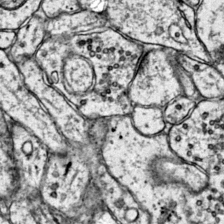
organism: Mouse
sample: Primary visual cortex